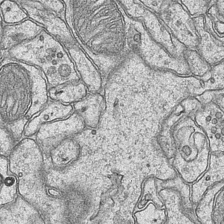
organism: Mouse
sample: CA1 Hippocampus